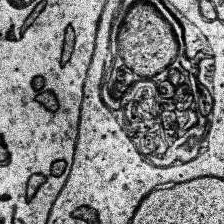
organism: Human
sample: Temporal Lobe